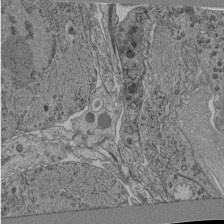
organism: C. elegans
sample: C. elegans pharynx